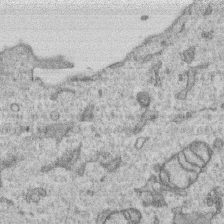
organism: Human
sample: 1205lu cells